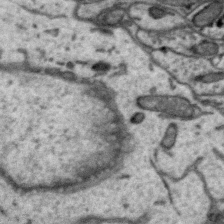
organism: Zebra finch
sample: Brain